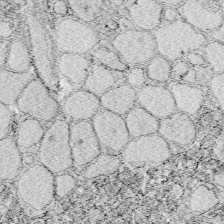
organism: Zebrafish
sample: Whole-Brain